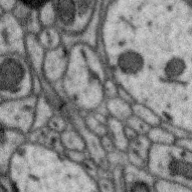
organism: Zebra finch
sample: Brain